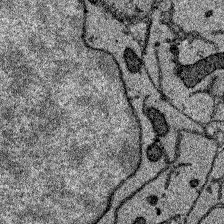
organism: Zebrafish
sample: Larval olfactory bulb